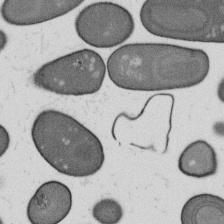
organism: B. subtilis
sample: Bacterial spore